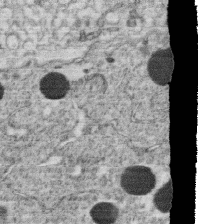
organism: C. elegans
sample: C. elegans oocyte; sperm cells